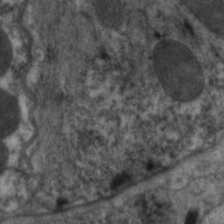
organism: C. elegans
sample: Pharynx